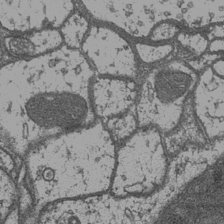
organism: Drosophila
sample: Optic medulla